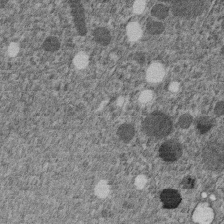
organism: C. elegans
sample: C. elegans embryo early stage